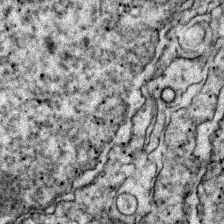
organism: Zebrafish